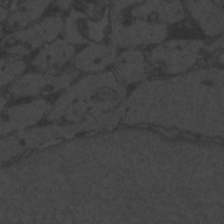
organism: Zebrafish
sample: Macrophage infected with Toxoplasma gondii